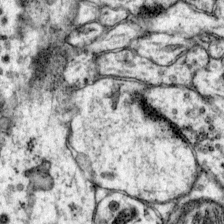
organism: Mouse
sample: Primary visual cortex